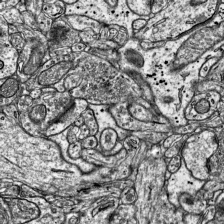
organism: Mouse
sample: Visual Cortex